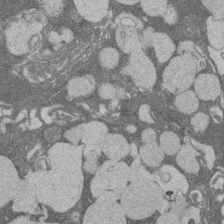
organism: Rat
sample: Salivary granule